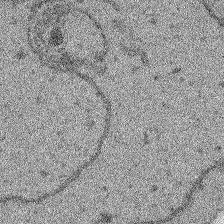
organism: Human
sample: HeLa cells